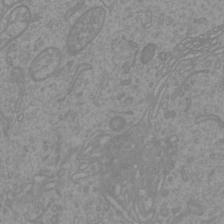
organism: Mouse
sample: Cortical neurons